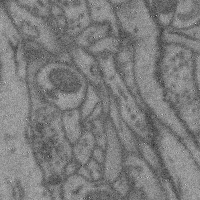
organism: Mouse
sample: Cerebral cortex